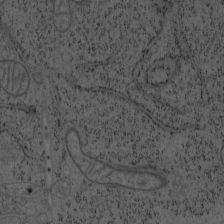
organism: Mouse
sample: OT-I killer T cells with ID8 ovarian cancer cells